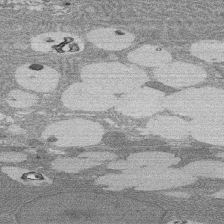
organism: Rat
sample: Salivary granule